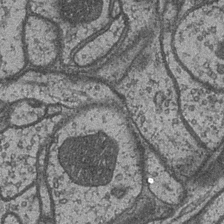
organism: Drosophila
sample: Optic medulla